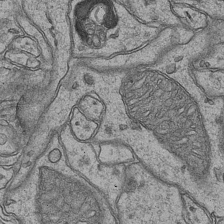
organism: Mouse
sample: CA1 Hippocampus